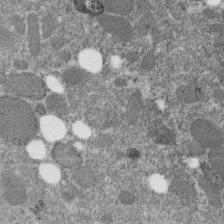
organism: C. elegans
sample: C. elegans embryo early stage